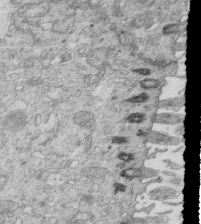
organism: Mouse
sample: Multiciliated cells